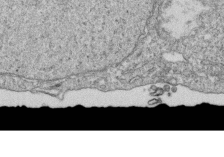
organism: Human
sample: HeLa cell HIV synapse